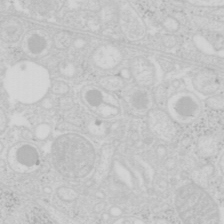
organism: Mouse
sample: Pancreas